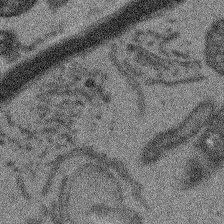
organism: Arabidopsis thaliana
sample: Root tip